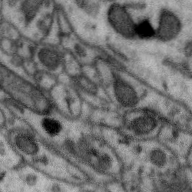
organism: Zebra finch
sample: Brain